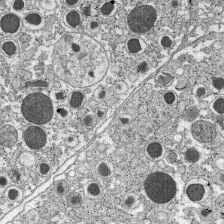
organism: C57BL Mouse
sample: Pancreatic islet